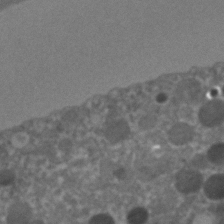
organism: C. elegans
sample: C. elegans embryo